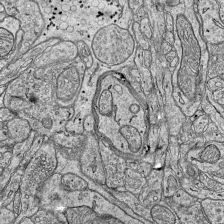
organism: Mouse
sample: Visual Cortex